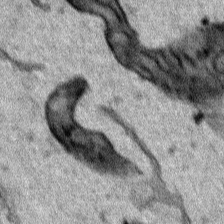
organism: Human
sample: Mitochondria in HCT116 cells